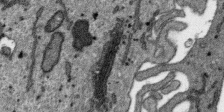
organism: Human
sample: Lung epithelial cells, uninfected (mock) control